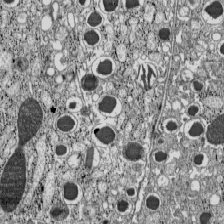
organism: C57BL Mouse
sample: Pancreatic islet